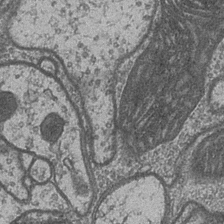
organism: Drosophila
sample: Optic medulla